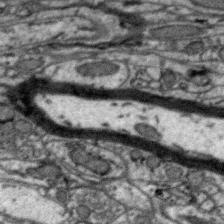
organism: Zebra finch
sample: Brain